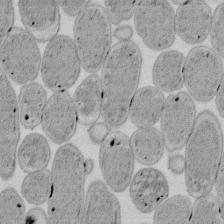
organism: E. coli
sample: Bacterial nucleoid